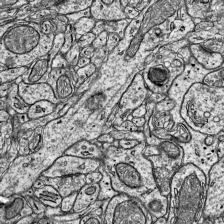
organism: Mouse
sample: Visual Cortex